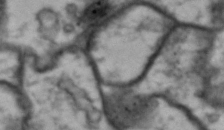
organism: Drosophila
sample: Brain